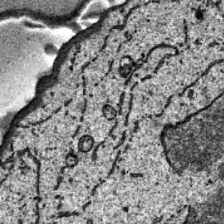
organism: Human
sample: HeLa cells